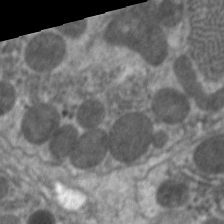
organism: C. elegans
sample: Pharynx